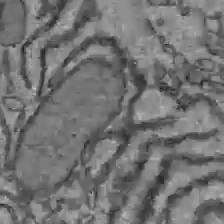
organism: C57BL Mouse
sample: Liver